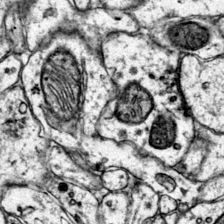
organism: Mouse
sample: Primary visual cortex